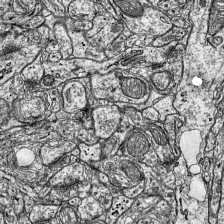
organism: Mouse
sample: Visual Cortex